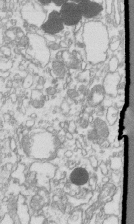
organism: Mouse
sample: Macrophages